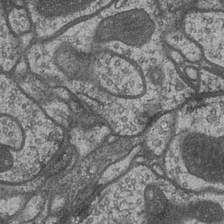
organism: Drosophila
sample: Optic medulla